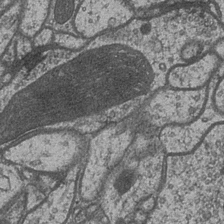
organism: Drosophila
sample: Optic medulla